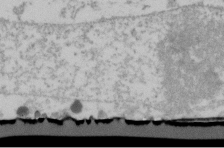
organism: Human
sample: U2-OS cells